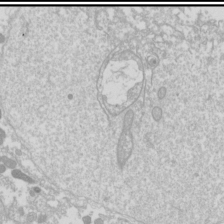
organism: Drosophila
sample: Cell division; meiosis; drosophila spermatocytes